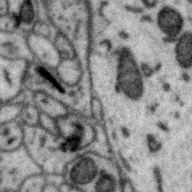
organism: Zebra finch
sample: Brain